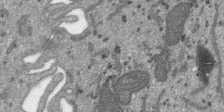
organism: Human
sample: Lung epithelial cells infected with SARS-CoV-2